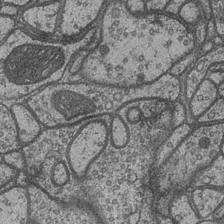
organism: Drosophila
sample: Optic medulla